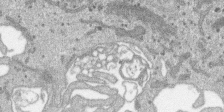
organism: Human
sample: Lung epithelial cells infected with SARS-CoV-2